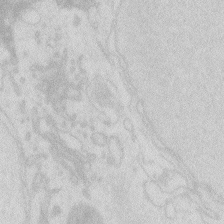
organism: Zebrafish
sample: Macrophage